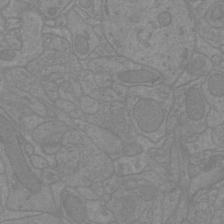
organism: Mouse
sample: Cortical neurons